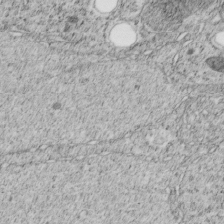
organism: C. elegans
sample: C. elegans embryo early stage